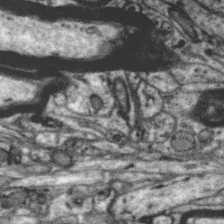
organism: Zebra finch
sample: Brain